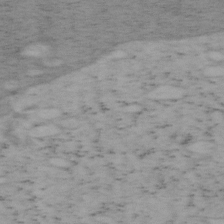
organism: Mouse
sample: OT-I killer T cells with ID8 ovarian cancer cells